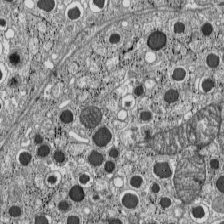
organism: C57BL Mouse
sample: Pancreatic islet